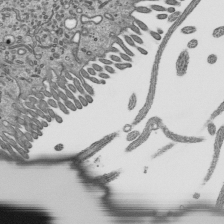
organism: Mouse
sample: Mouse epididymis efferent ductule cilia